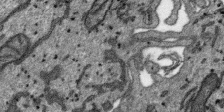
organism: Human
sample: Lung epithelial cells, uninfected (mock) control